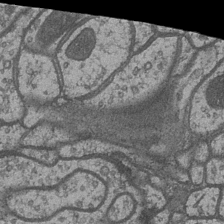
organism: Drosophila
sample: Optic medulla